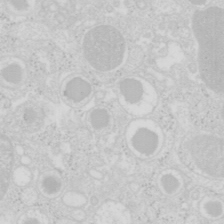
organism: Mouse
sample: Pancreas